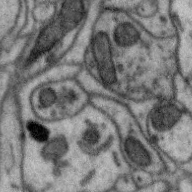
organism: Zebra finch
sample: Brain